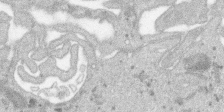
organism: Human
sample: Lung epithelial cells infected with SARS-CoV-2